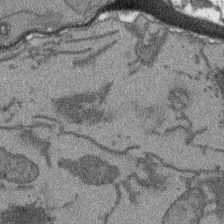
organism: Arabidopsis thaliana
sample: Root tip